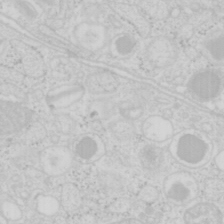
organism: Mouse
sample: Pancreas